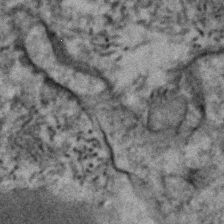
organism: Human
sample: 1205lu cells